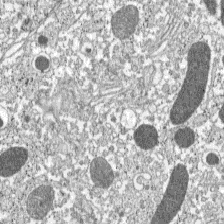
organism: C57BL Mouse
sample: Pancreatic islet